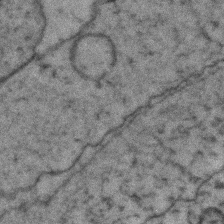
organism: Zebrafish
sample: Zebrafish embryo